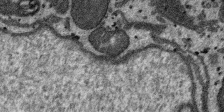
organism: Human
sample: Lung epithelial cells, uninfected (mock) control